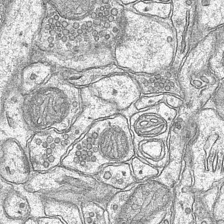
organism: Mouse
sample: CA1 Hippocampus